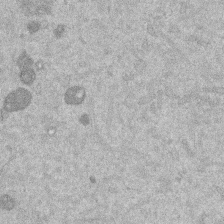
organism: Mouse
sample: Dividing mouse embryo 1 cell stage